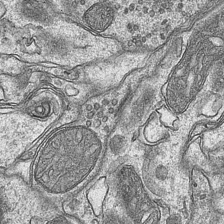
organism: Mouse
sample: CA1 Hippocampus